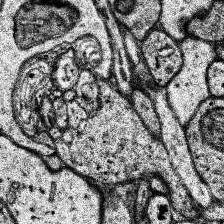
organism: Human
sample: Temporal Lobe